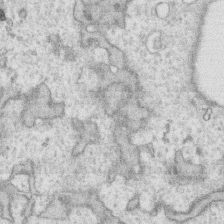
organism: Human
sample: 1205lu cells